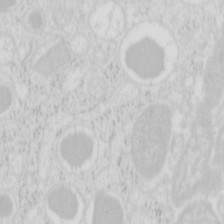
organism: Mouse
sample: Pancreas